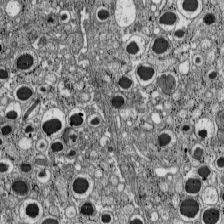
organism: C57BL Mouse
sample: Pancreatic islet